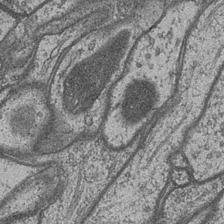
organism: Drosophila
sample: Optic medulla